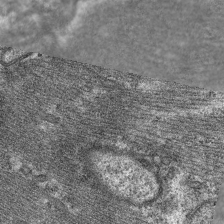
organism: C. elegans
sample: Pharynx